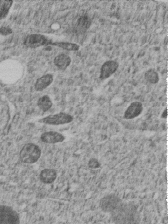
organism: C. elegans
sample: C. elegans embryo early stage